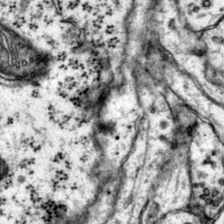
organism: Mouse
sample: Primary visual cortex